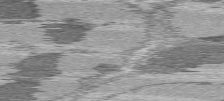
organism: C57BL Mouse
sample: Heart